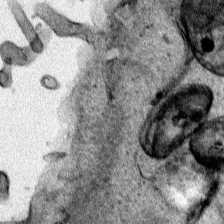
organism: Human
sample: Mitochondria in HCT116 cells